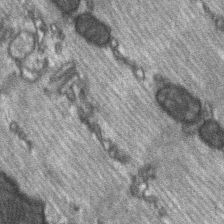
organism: C57BL Mouse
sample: Soleus